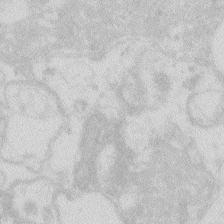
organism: Zebrafish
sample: Macrophage